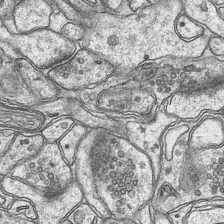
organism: Mouse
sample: CA1 Hippocampus